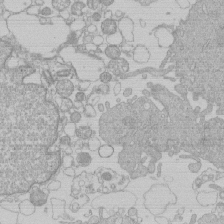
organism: Human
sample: Macrophage cells